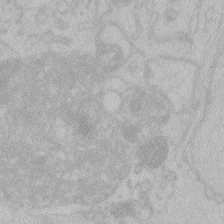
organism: Zebrafish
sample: Macrophage infected with Toxoplasma gondii